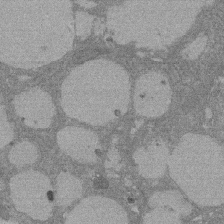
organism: Rat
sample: Salivary granule